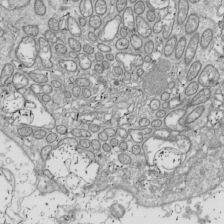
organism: Drosophila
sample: Cell division; meiosis; drosophila spermatocytes